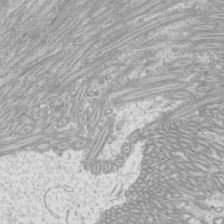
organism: Mouse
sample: Cilia; mouse epididymis